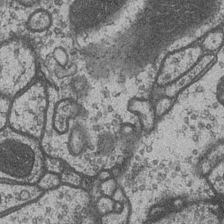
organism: Drosophila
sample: Optic medulla